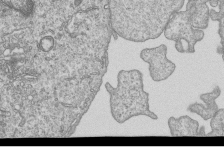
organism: Human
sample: MDA-MB-231 cells